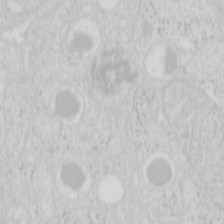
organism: Mouse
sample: Pancreas